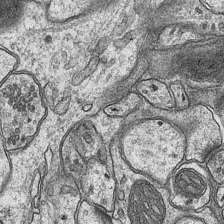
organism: Mouse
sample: CA1 Hippocampus